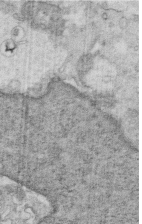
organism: Mouse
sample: Multiciliated cells